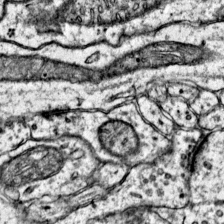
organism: Mouse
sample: Primary visual cortex